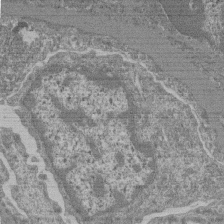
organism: Mouse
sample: Glomerulus